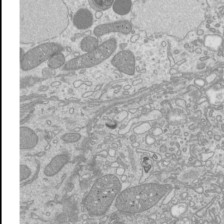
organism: Mouse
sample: Cilia; mouse epididymis